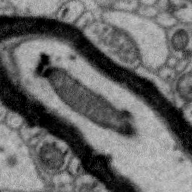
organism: Zebra finch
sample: Brain